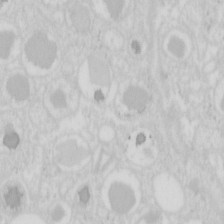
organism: Mouse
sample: Pancreas